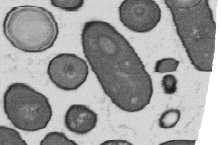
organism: B. subtilis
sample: Bacterial spore